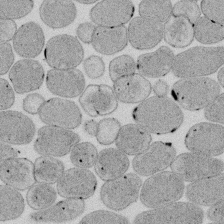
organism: E. coli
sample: Bacterial nucleoid